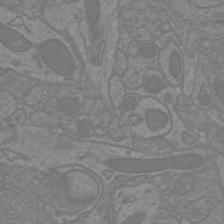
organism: Mouse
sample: Cortical neurons